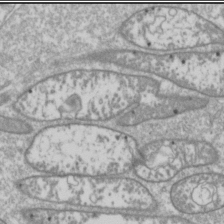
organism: Drosophila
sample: Cell division; meiosis; drosophila spermatocytes